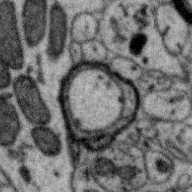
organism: Zebra finch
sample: Brain